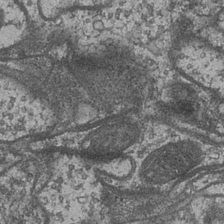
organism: Drosophila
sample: Optic medulla